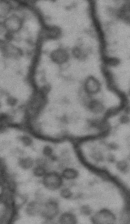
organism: Drosophila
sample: Brain